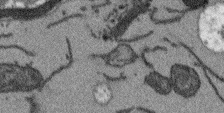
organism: Arabidopsis thaliana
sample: Root tip